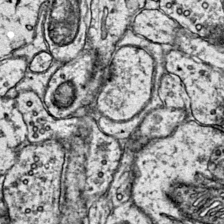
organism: Mouse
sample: Primary visual cortex